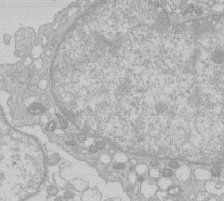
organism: Human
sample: Macrophage cells